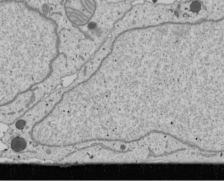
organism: Human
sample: Mitochondria in U2OS cells